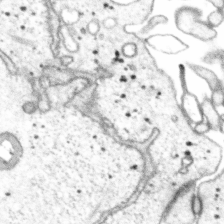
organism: Human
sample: HeLa cells